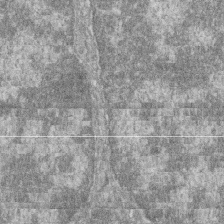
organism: Zebrafish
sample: Cilia; retinal pigment epithelium